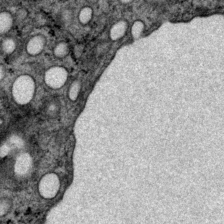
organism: P. pacificus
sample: Pharynx